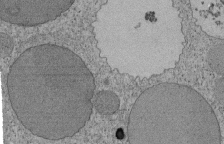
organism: Tetrahymena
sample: Cilia in tetrahymena